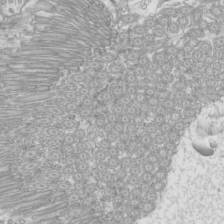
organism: Mouse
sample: Cilia; mouse epididymis